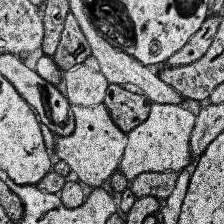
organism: Human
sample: Temporal Lobe